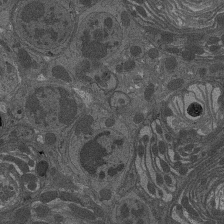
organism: Drosophila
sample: Antenna